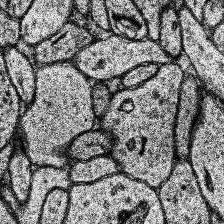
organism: Human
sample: Temporal Lobe